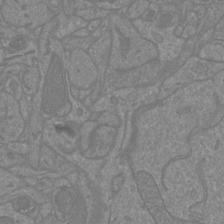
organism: Mouse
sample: Cortical neurons